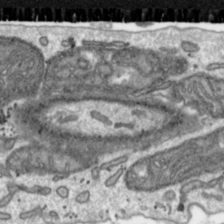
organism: Toxoplasma gondii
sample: Parasites in a vacuole inside a host cell